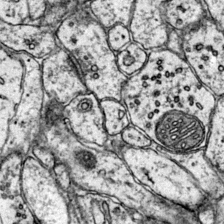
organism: Mouse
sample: Primary visual cortex